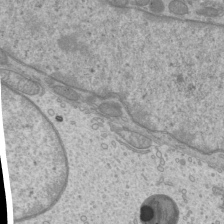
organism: Mouse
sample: Cilia; mouse epididymis